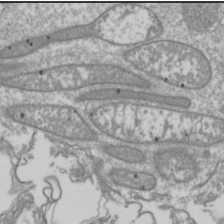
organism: Drosophila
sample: Cell division; meiosis; drosophila spermatocytes